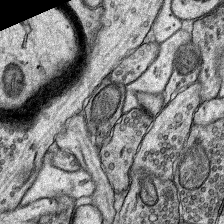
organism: Rat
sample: Hippocampus